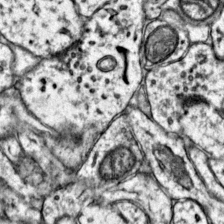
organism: Mouse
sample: Primary visual cortex